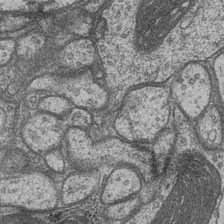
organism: Drosophila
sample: Optic medulla